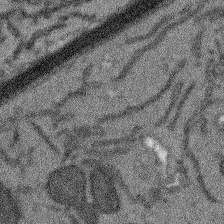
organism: Arabidopsis thaliana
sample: Root tip